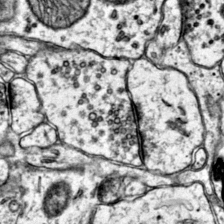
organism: Mouse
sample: Primary visual cortex